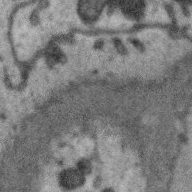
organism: Zebra finch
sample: Brain